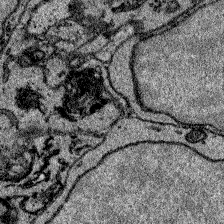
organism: Zebrafish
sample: Larval olfactory bulb